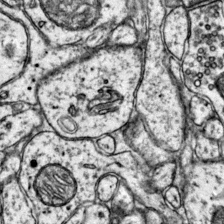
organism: Mouse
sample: Primary visual cortex